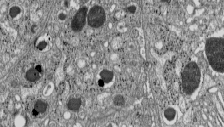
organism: C57BL Mouse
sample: Pancreatic islet